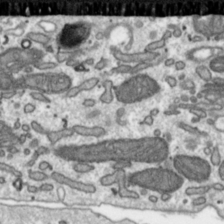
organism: Toxoplasma gondii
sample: Parasites in a vacuole inside a host cell